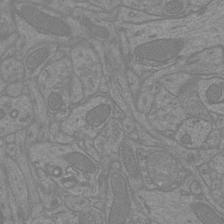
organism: Mouse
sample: Cortical neurons